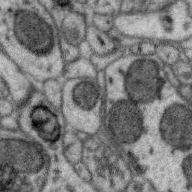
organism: Zebra finch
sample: Brain